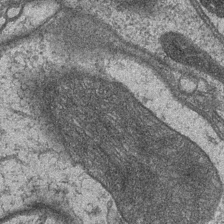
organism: Drosophila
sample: Optic medulla